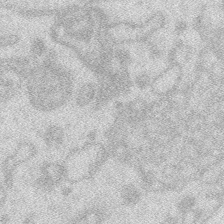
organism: Zebrafish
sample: Macrophage